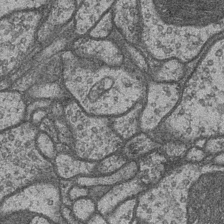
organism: Drosophila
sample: Optic medulla